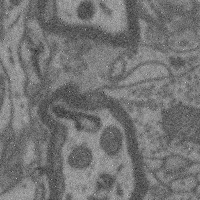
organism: Mouse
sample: Cerebral cortex